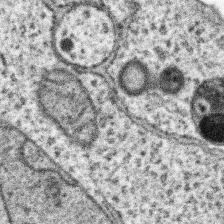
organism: Human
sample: HeLa cells